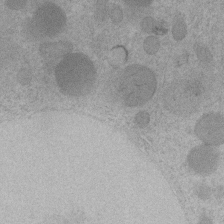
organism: C. elegans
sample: C. elegans embryo early stage